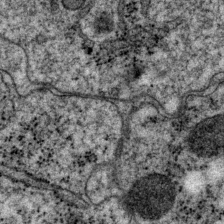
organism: P. pacificus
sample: Pharynx